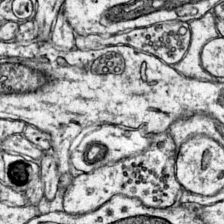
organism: Mouse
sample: Primary visual cortex